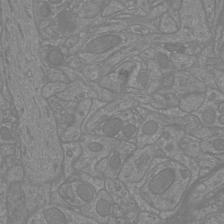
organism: Mouse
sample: Cortical neurons